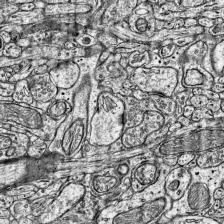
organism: Mouse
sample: Visual Cortex